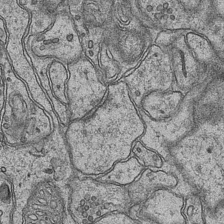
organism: Mouse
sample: CA1 Hippocampus